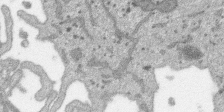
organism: Human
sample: Lung epithelial cells infected with SARS-CoV-2